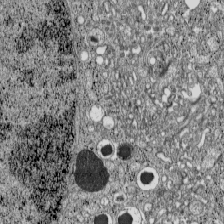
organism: C57BL Mouse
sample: Pancreatic islet